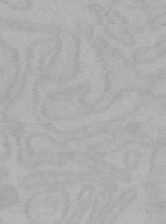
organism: Mouse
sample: Choroid plexus